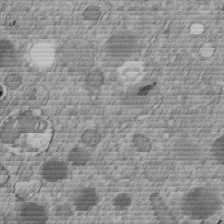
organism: C. elegans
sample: C. elegans embryo early stage